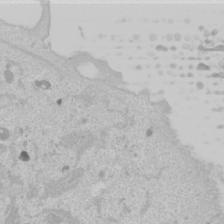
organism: Human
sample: Mitochondria in U2OS cells